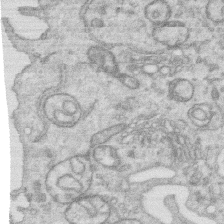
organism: Human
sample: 1205lu cells